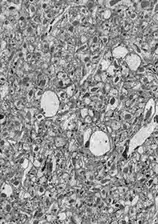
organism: Drosophila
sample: Optic lobe